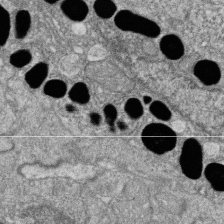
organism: Zebrafish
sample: Cilia; retinal pigment epithelium